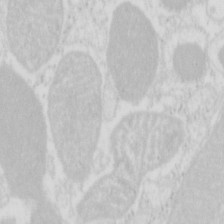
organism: Mouse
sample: Pancreas